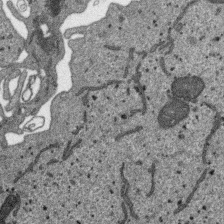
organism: Human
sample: Lung epithelial cells infected with SARS-CoV-2